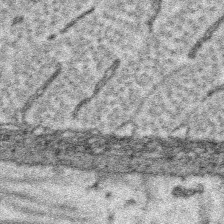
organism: Platynereis dumerilii